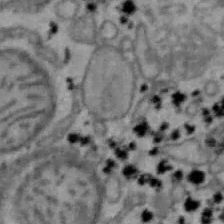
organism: Mouse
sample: Liver